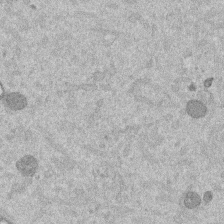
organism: Mouse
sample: Dividing mouse embryo 1 cell stage